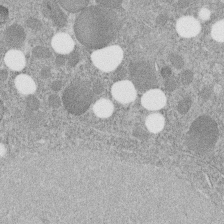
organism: C. elegans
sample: C. elegans embryo early stage